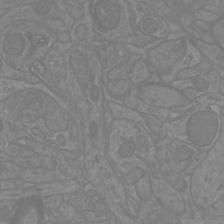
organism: Mouse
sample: Cortical neurons